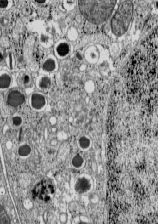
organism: C57BL Mouse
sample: Pancreatic islet